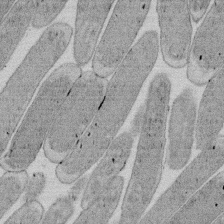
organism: E. coli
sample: Bacterial nucleoid